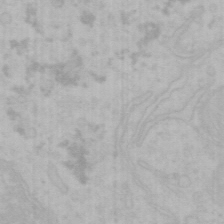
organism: Mouse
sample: Choroid plexus